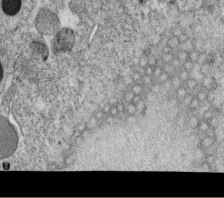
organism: C. elegans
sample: C. elegans oocyte; sperm cells